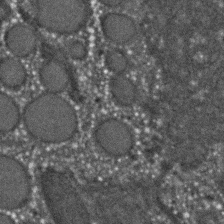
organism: C. elegans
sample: C. elegans embryo